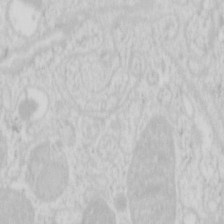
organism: Mouse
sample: Pancreas